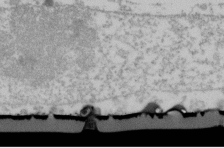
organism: Human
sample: U2-OS cells